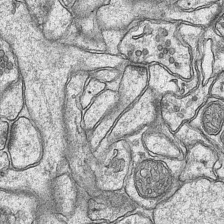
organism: Mouse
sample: CA1 Hippocampus